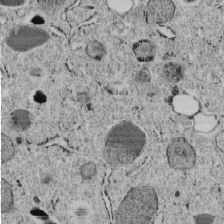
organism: C. elegans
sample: C. elegans embryo early stage